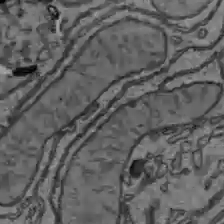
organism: C57BL Mouse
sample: Liver